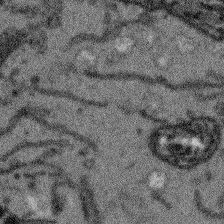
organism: Arabidopsis thaliana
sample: Root tip